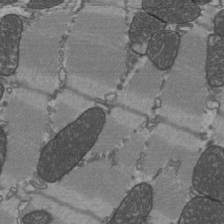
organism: C57BL Mouse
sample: Heart